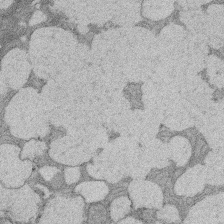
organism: Rat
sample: Salivary granule